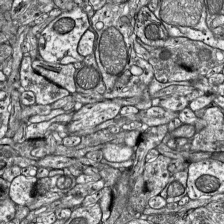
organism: Mouse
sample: Visual Cortex